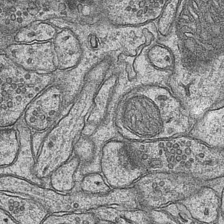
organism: Mouse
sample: CA1 Hippocampus